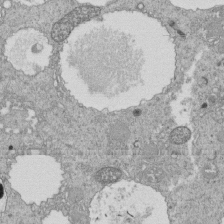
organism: Tetrahymena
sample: Cilia in tetrahymena